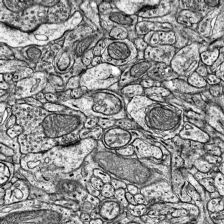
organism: Mouse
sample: Visual Cortex